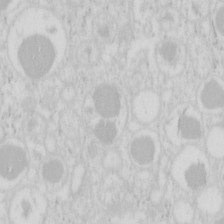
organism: Mouse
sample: Pancreas